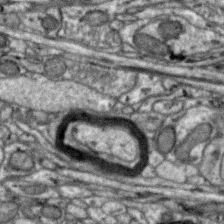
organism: Zebra finch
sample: Brain